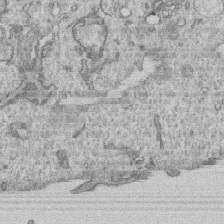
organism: Human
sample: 1205lu cells